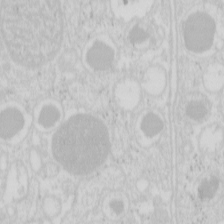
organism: Mouse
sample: Pancreas